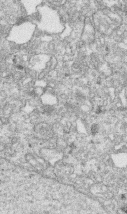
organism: Human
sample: HeLa cell HIV synapse